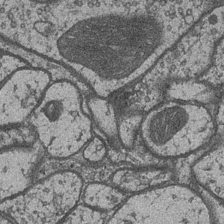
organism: Drosophila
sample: Optic medulla